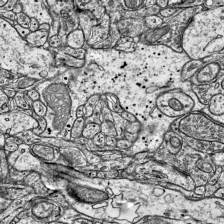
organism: Mouse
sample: Visual Cortex